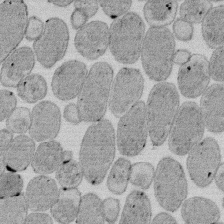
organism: E. coli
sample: Bacterial nucleoid